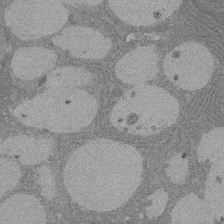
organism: Rat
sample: Salivary granule